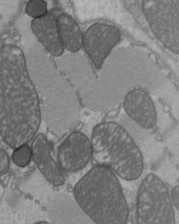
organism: C57BL Mouse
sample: Heart